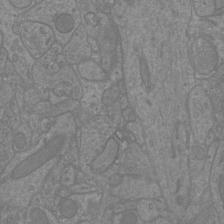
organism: Mouse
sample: Cortical neurons